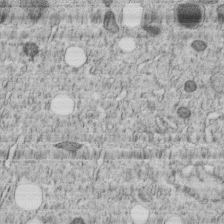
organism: C. elegans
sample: C. elegans embryo early stage